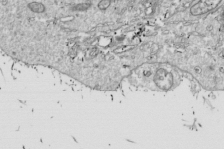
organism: Drosophila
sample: Cell division; meiosis; drosophila spermatocytes